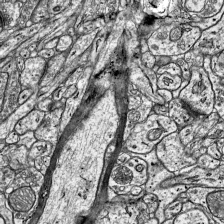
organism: Mouse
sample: Visual Cortex